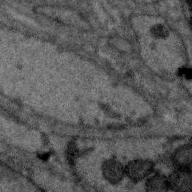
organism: Zebra finch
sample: Brain